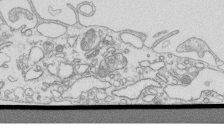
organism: Mouse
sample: Macrophages